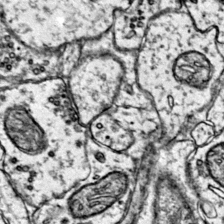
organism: Mouse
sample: Primary visual cortex